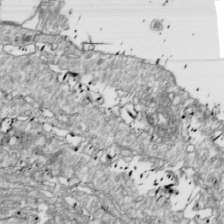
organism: Drosophila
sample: Cell division; meiosis; drosophila spermatocytes